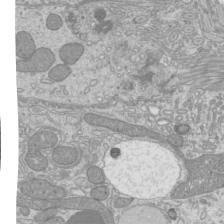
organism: Mouse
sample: Cilia; mouse epididymis